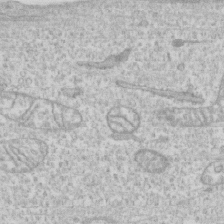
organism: Human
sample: CRL-1474